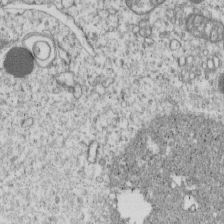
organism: Human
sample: MDA-MB-231 cells